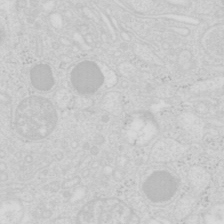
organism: Mouse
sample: Pancreas